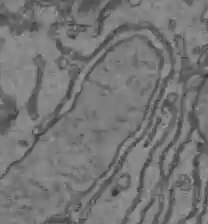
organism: C57BL Mouse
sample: Liver